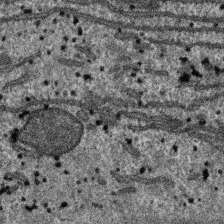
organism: Human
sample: Lung epithelial cells infected with SARS-CoV-2